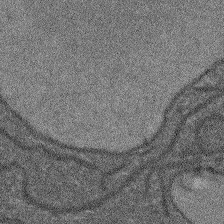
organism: Arabidopsis thaliana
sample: Root tip